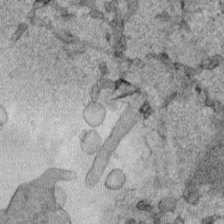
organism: Human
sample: Mitochondria in HCT116 cells